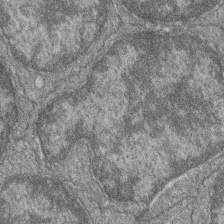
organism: Zebrafish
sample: Cilia; retinal pigment epithelium